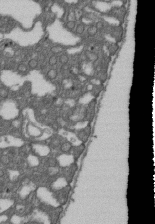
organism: Drosophila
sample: Nephrocyte